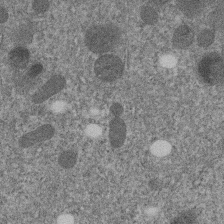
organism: C. elegans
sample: C. elegans embryo early stage